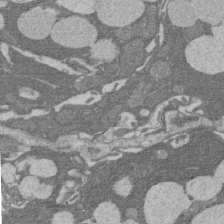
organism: Rat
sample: Salivary granule